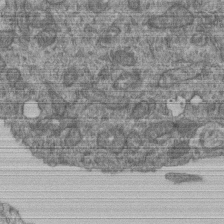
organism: Human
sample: Retinal organoid Rod and Cone cells